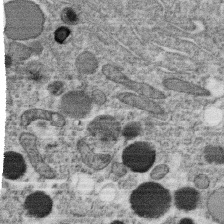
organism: C. elegans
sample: C. elegans oocyte; sperm cells